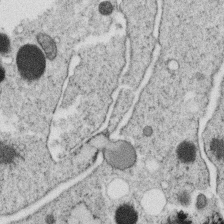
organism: C. elegans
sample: C. elegans oocyte; sperm cells